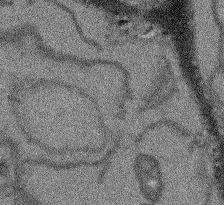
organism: Arabidopsis thaliana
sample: Root tip